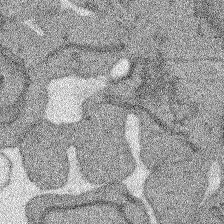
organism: Human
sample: HeLa cells